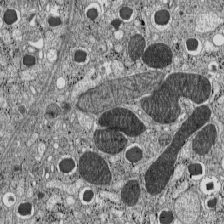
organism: C57BL Mouse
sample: Pancreatic islet